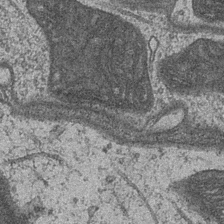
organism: Drosophila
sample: Optic medulla